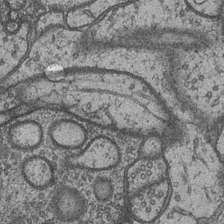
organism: Drosophila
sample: Optic medulla